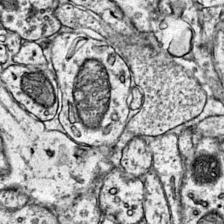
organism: Mouse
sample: Primary visual cortex